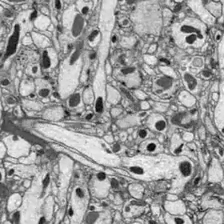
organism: Drosophila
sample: Optic lobe